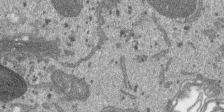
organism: Human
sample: Lung epithelial cells infected with SARS-CoV-2